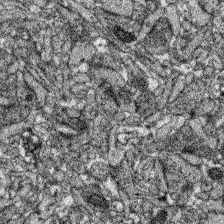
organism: Zebrafish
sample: Larval olfactory bulb